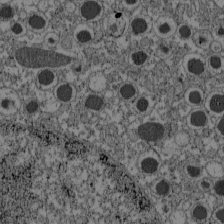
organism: C57BL Mouse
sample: Pancreatic islet